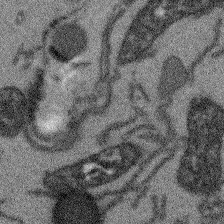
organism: Arabidopsis thaliana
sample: Root tip